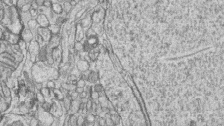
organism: Zebrafish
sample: synaptic ribbons in rod cells and cone cells